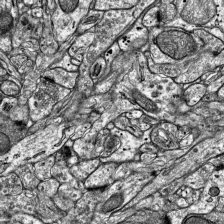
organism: Mouse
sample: Visual Cortex